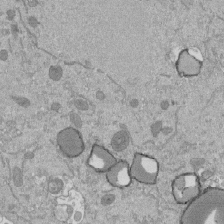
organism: Mouse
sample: ED-1 cell nuclei; centrioles